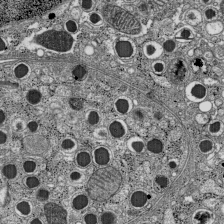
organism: C57BL Mouse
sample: Pancreatic islet